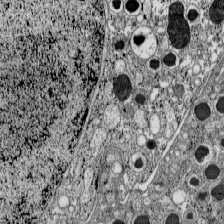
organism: C57BL Mouse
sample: Pancreatic islet